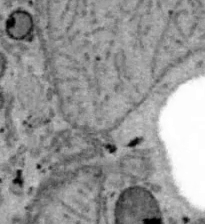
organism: Mouse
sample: Liver from an obese (ob/ob) mouse